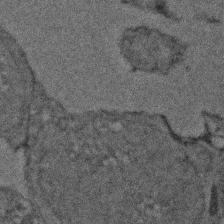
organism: Zebrafish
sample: Zebrafish embryo